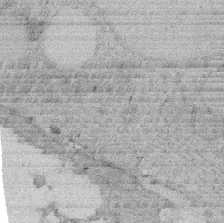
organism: Rat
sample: Salivary granule